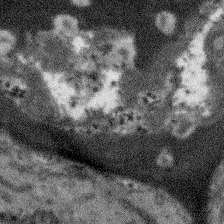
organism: Arabidopsis thaliana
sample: Root tip